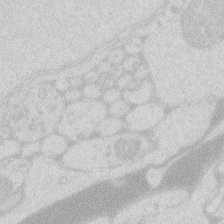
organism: Zebrafish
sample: Macrophage